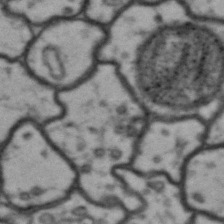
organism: Drosophila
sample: Brain